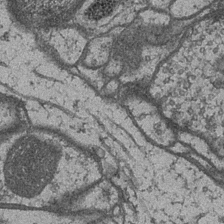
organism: Drosophila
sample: Optic medulla